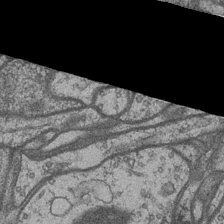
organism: Drosophila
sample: Optic medulla